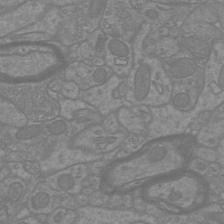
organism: Mouse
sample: Cortical neurons